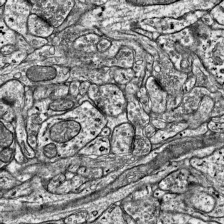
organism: Mouse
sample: Visual Cortex